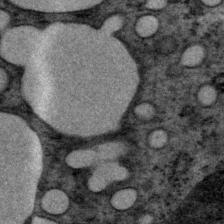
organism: P. pacificus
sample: Pharynx